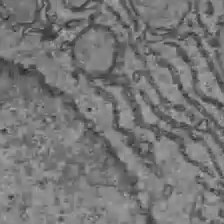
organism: C57BL Mouse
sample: Liver